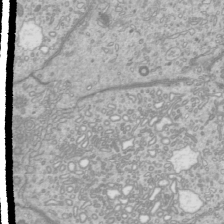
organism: Mouse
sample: Cilia; mouse epididymis